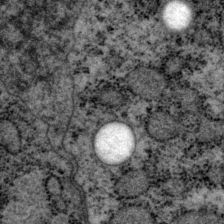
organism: P. pacificus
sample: Pharynx